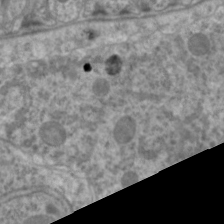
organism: C. elegans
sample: Pharynx